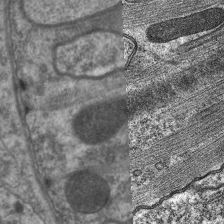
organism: C. elegans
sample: Pharynx